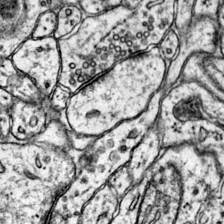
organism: Mouse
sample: Primary visual cortex